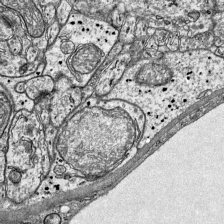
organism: Mouse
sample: Visual Cortex